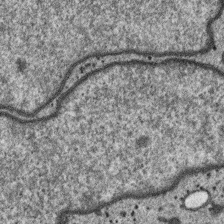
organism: Human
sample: Lung epithelial cells infected with SARS-CoV-2